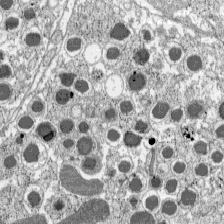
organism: C57BL Mouse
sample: Pancreatic islet